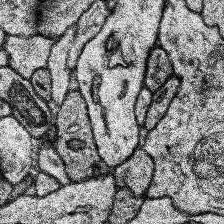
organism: Human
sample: Temporal Lobe